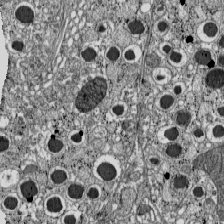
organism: C57BL Mouse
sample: Pancreatic islet